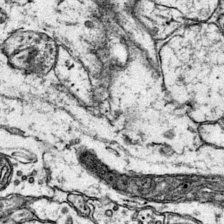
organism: Mouse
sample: Primary visual cortex